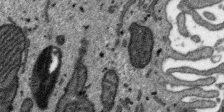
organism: Human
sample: Lung epithelial cells, uninfected (mock) control